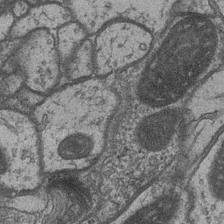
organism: Drosophila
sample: Optic medulla